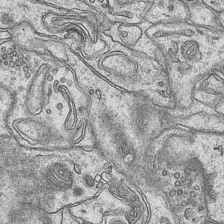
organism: Mouse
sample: CA1 Hippocampus